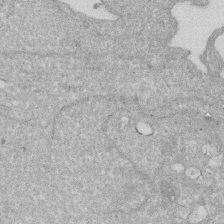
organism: Human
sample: HIV infected U937 cells